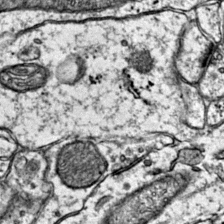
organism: Mouse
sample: Primary visual cortex